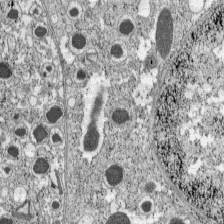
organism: C57BL Mouse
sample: Pancreatic islet